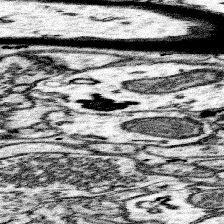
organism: Mouse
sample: Somatosensory cortex neuropil